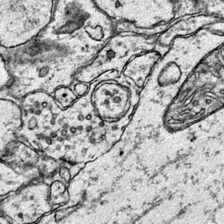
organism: Mouse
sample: Primary visual cortex